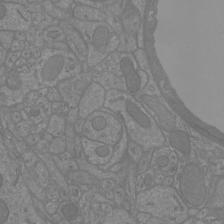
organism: Mouse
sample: Cortical neurons